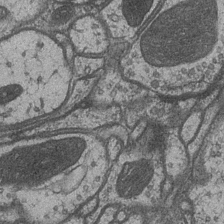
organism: Drosophila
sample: Optic medulla